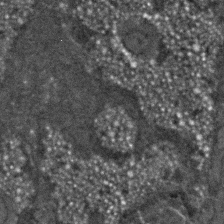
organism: C. elegans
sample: C. elegans embryo